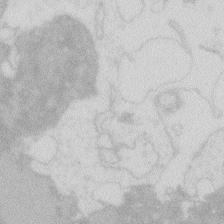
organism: Zebrafish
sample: Macrophage